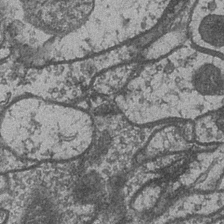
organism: Drosophila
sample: Optic medulla